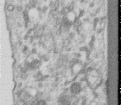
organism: Human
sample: Centriole in RPE cells